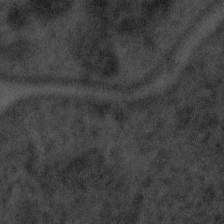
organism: Tuwongella immobilis